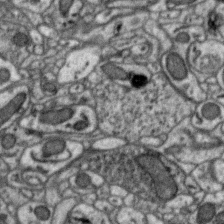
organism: Zebra finch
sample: Brain